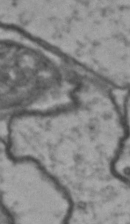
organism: Drosophila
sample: Brain